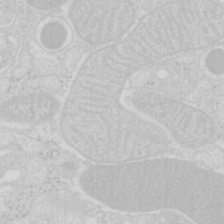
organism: Mouse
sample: Pancreas